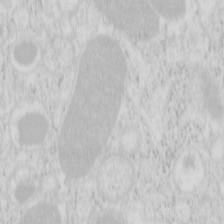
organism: Mouse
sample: Pancreas